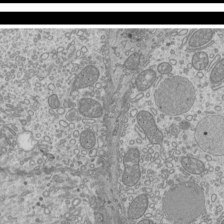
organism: Mouse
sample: Cilia; mouse epididymis